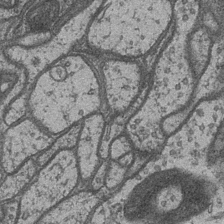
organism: Drosophila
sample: Optic medulla